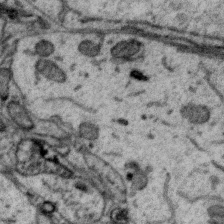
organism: Zebra finch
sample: Brain